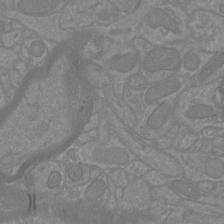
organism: Mouse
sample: Cortical neurons